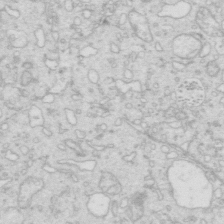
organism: Mouse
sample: Multiciliated cells